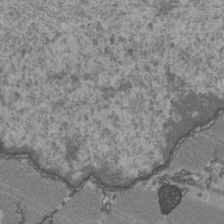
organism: C57BL Mouse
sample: Heart